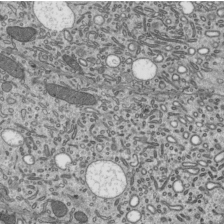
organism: Mouse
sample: Mouse epididymis efferent ductule cilia